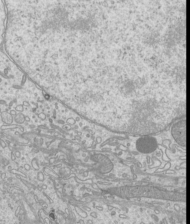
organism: Mouse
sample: Cilia; mouse epididymis